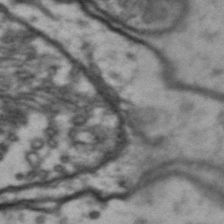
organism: Drosophila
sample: Brain